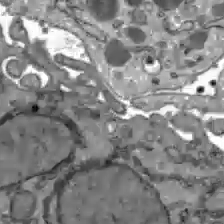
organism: C57BL Mouse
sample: Liver